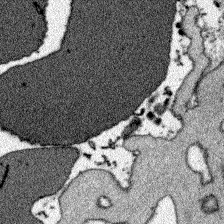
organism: Zebrafish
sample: Larval olfactory bulb